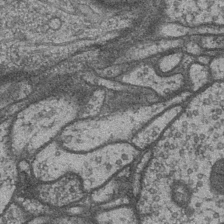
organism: Drosophila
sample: Optic medulla